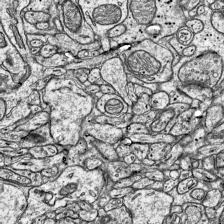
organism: Mouse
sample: Visual Cortex